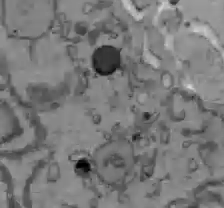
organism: C57BL Mouse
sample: Liver